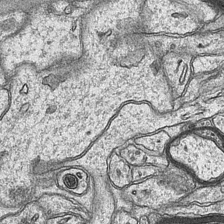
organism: Mouse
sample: CA1 Hippocampus